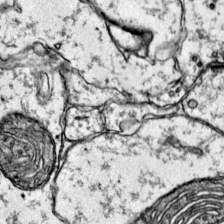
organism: Mouse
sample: Primary visual cortex